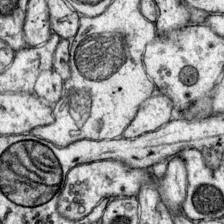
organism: Mouse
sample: Primary visual cortex